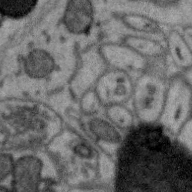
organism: Zebra finch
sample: Brain